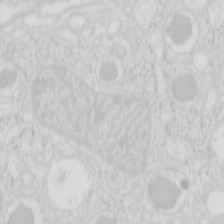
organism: Mouse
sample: Pancreas